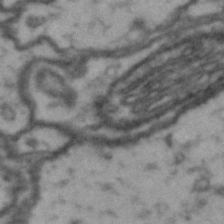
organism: Drosophila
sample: Brain